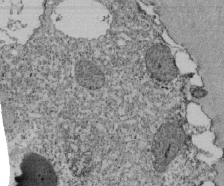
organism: Tetrahymena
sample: Cilia in tetrahymena